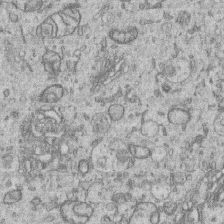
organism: Human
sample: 1205lu cells